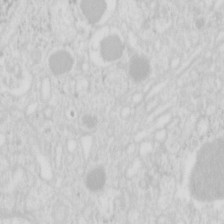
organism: Mouse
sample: Pancreas